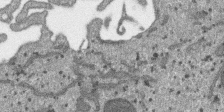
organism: Human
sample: Lung epithelial cells infected with SARS-CoV-2